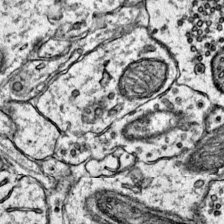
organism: Mouse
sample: Primary visual cortex